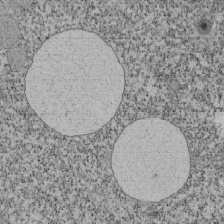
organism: Tetrahymena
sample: Cilia in tetrahymena